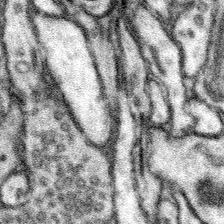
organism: Mouse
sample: Somatosensory cortex neuropil